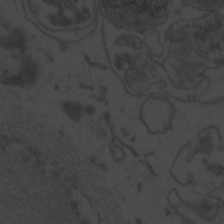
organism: Zebrafish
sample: Macrophage infected with Toxoplasma gondii